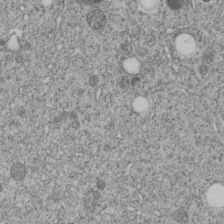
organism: C. elegans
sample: C. elegans embryo early stage